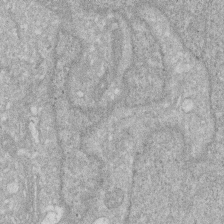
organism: Human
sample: HIV infected U937 cells